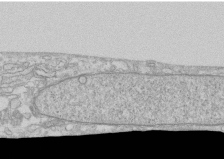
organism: Human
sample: CRL-1474